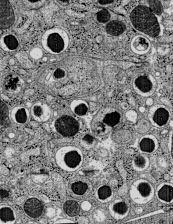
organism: C57BL Mouse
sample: Pancreatic islet